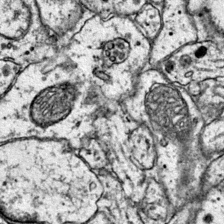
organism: Mouse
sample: Primary visual cortex